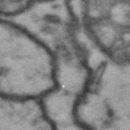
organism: Drosophila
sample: Brain